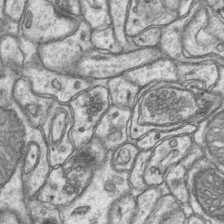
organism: Mouse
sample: CA1 Hippocampus